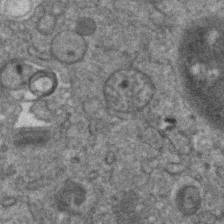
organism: Human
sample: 1205lu cells